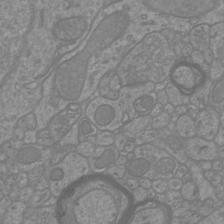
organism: Mouse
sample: Cortical neurons